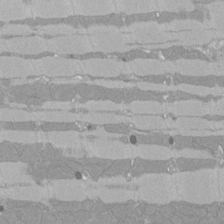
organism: Rat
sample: Left ventricle